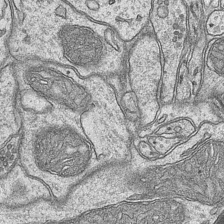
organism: Mouse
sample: CA1 Hippocampus